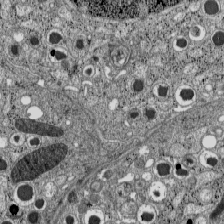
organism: C57BL Mouse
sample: Pancreatic islet